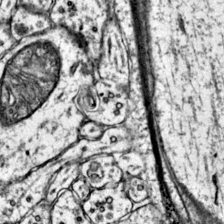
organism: Mouse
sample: Primary visual cortex